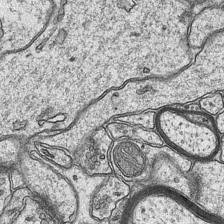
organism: Mouse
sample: CA1 Hippocampus